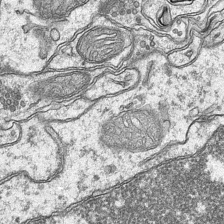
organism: Mouse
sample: CA1 Hippocampus